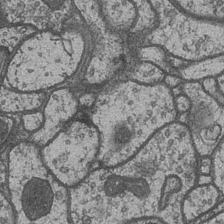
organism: Drosophila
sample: Optic medulla